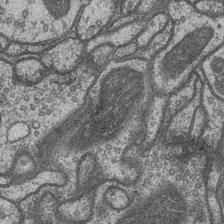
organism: Drosophila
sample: Optic medulla